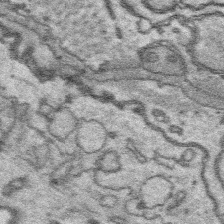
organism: Platynereis dumerilii